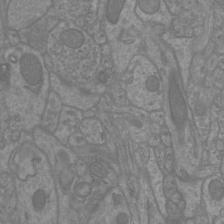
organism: Mouse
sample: Cortical neurons